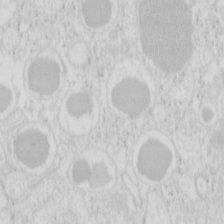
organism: Mouse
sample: Pancreas